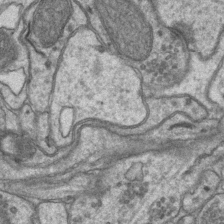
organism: Mouse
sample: CA1 Hippocampus